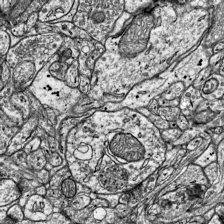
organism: Mouse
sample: Visual Cortex